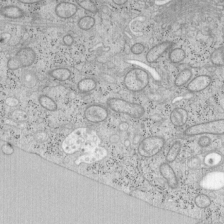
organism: Mouse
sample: OT-I killer T cells with ID8 ovarian cancer cells